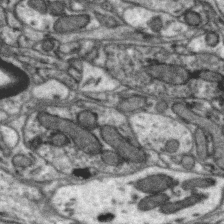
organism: Zebra finch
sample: Brain